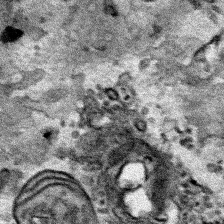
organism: Human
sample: Mitochondria in HCT116 cells